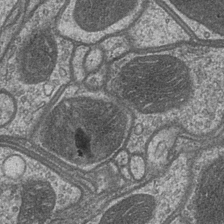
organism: Drosophila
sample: Optic medulla